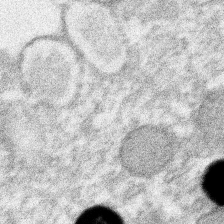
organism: Xenopus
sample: Cilia; centrioles in frog embryo cells